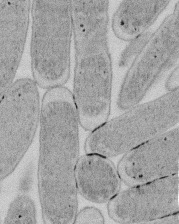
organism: E. coli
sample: Bacterial nucleoid